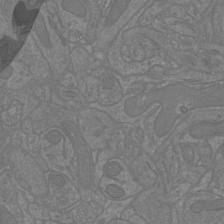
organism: Mouse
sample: Cortical neurons